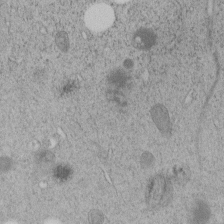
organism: C. elegans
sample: C. elegans embryo early stage